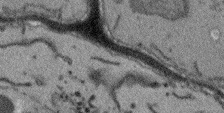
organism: Arabidopsis thaliana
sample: Root tip